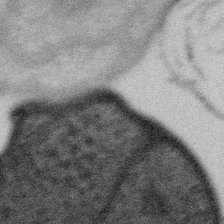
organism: Gemmata obscuriglobus